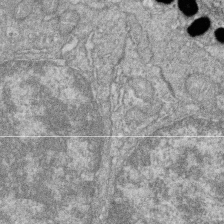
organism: Zebrafish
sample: Cilia; retinal pigment epithelium